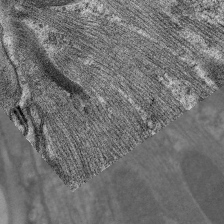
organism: C. elegans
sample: Pharynx